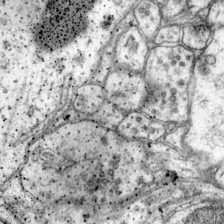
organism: Mouse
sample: Primary visual cortex